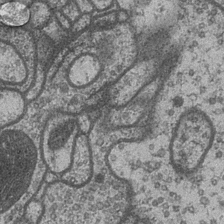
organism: Drosophila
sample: Optic medulla